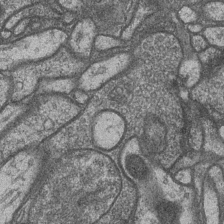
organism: Drosophila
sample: Optic medulla